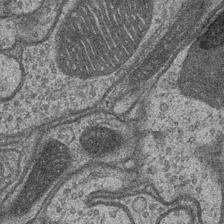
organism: Drosophila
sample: Optic medulla